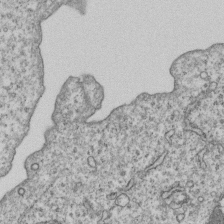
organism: Human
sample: MDA-MB-231 cells